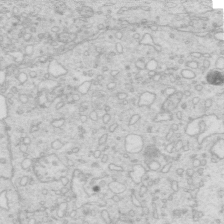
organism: Mouse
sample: Multiciliated cells